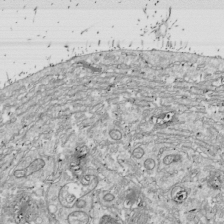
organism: Drosophila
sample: Cell division; meiosis; drosophila spermatocytes